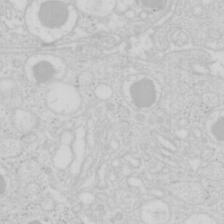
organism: Mouse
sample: Pancreas